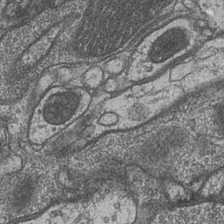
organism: Drosophila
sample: Optic medulla